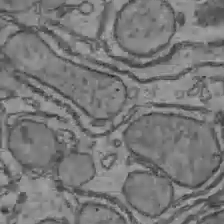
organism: C57BL Mouse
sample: Liver